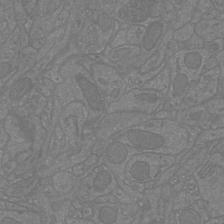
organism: Mouse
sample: Cortical neurons